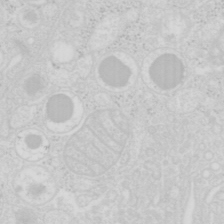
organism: Mouse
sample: Pancreas